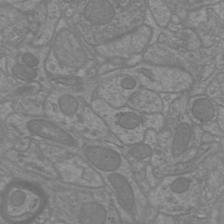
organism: Mouse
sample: Cortical neurons